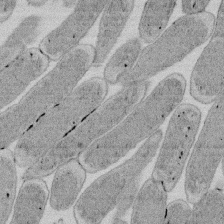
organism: E. coli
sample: Bacterial nucleoid